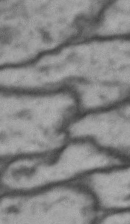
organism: Drosophila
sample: Brain